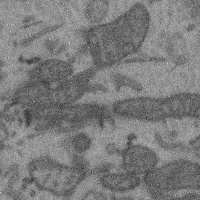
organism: Mouse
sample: Cerebral cortex